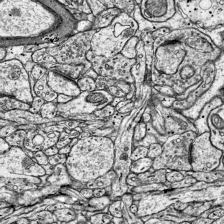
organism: Mouse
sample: Visual Cortex